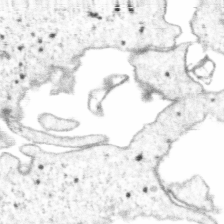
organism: Human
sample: HeLa cells